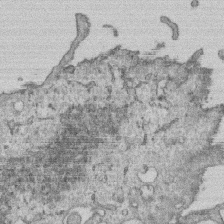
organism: Human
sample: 1205lu cells